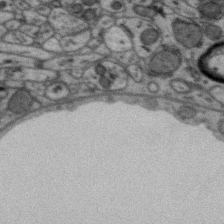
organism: Zebra finch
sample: Brain